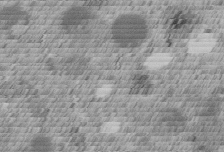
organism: C. elegans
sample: C. elegans embryo early stage